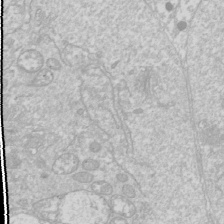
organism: Drosophila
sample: Cell division; meiosis; drosophila spermatocytes